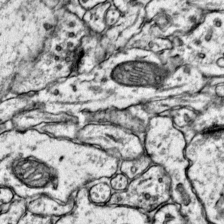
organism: Mouse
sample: Primary visual cortex